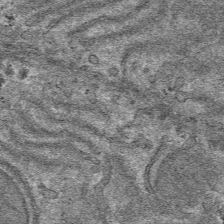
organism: Mouse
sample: Mouse hepatocytes